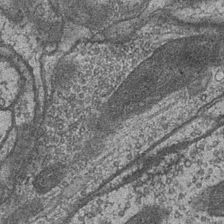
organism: Drosophila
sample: Optic medulla